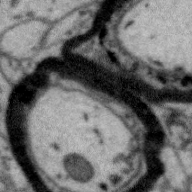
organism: Zebra finch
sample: Brain